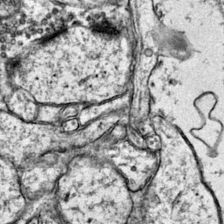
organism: Mouse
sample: Primary visual cortex